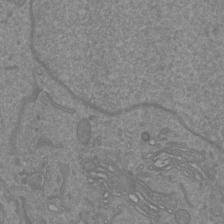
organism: Mouse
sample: Cortical neurons